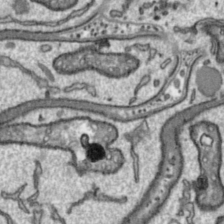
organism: Toxoplasma gondii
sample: Parasites in a vacuole inside a host cell